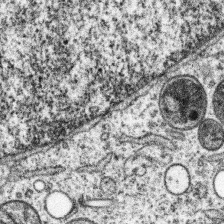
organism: Human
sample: HeLa cells